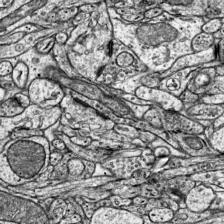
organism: Mouse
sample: Visual Cortex